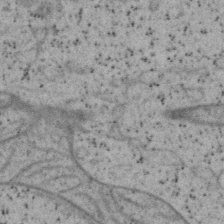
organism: Human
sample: HeLa cells